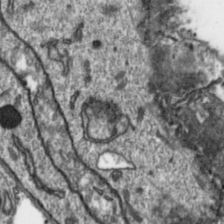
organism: Toxoplasma gondii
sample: Parasites in a vacuole inside a host cell